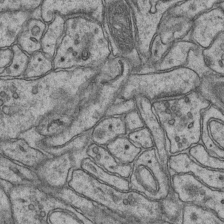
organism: Mouse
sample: CA1 Hippocampus